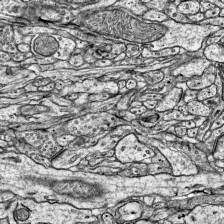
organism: Mouse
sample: Visual Cortex